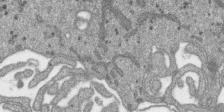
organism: Human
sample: Lung epithelial cells infected with SARS-CoV-2